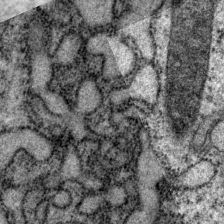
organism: P. pacificus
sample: Pharynx